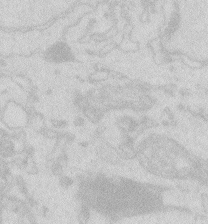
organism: Zebrafish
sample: Macrophage